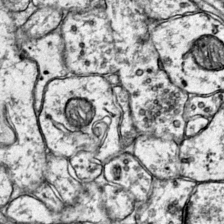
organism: Mouse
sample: Primary visual cortex